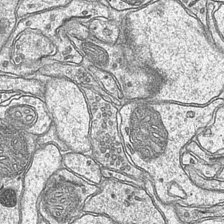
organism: Mouse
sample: CA1 Hippocampus